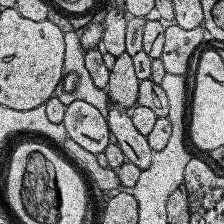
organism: Human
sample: Temporal Lobe